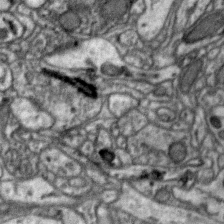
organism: Zebra finch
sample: Brain